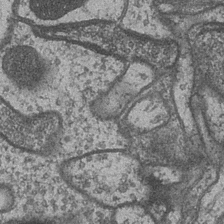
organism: Drosophila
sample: Optic medulla